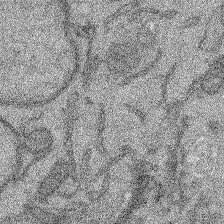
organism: Human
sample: HeLa cells